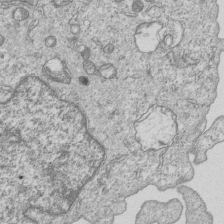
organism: Human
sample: MDA-MB-231 cells